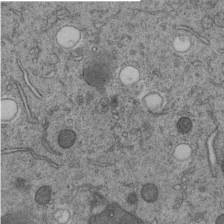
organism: C. elegans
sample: C. elegans embryo early stage